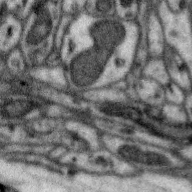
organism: Zebra finch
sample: Brain